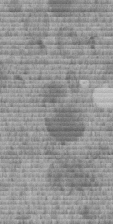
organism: C. elegans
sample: C. elegans embryo early stage